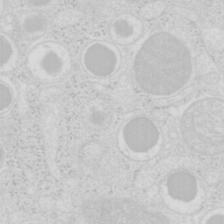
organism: Mouse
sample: Pancreas